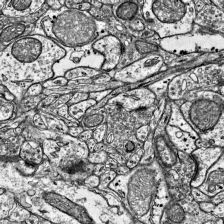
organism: Mouse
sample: Visual Cortex